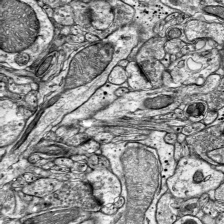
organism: Mouse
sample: Visual Cortex